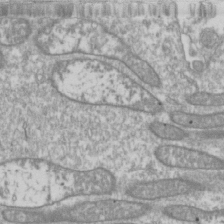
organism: Drosophila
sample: Cell division; meiosis; drosophila spermatocytes